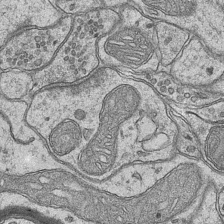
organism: Mouse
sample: CA1 Hippocampus